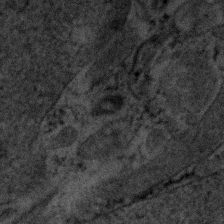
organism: Human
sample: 1205lu cells